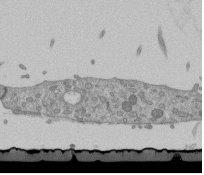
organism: Mouse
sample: ED-1 cell nuclei; centrioles